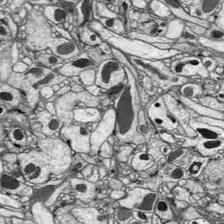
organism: Drosophila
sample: Optic lobe